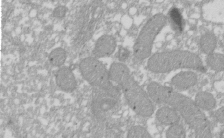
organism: Xenopus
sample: Cilia; centrioles in frog embryo cells